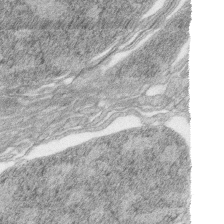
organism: Zebrafish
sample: synaptic ribbons in rod cells and cone cells